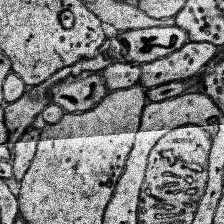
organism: Human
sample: Temporal Lobe